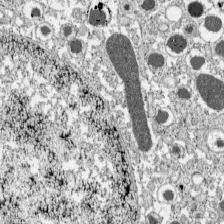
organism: C57BL Mouse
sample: Pancreatic islet